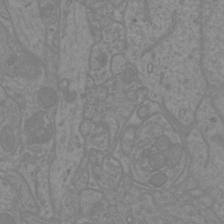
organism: Mouse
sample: Cortical neurons